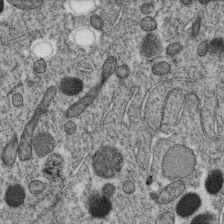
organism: C. elegans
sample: C. elegans oocyte; sperm cells